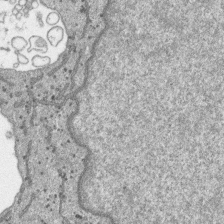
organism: Human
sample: Lung epithelial cells infected with SARS-CoV-2